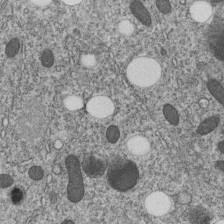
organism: C. elegans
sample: C. elegans embryo early stage